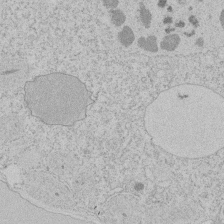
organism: Tetrahymena